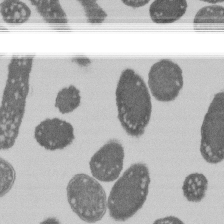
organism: E. coli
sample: Bacterial nucleoid